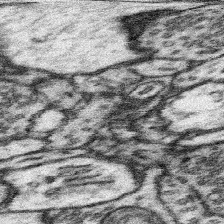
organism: Mouse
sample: Somatosensory cortex neuropil